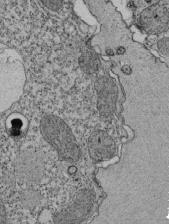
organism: Tetrahymena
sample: Cilia in tetrahymena